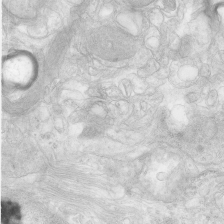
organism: Human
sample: Neocortex